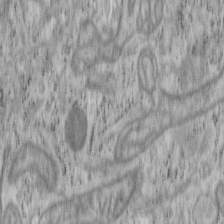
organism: Human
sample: HeLa cells